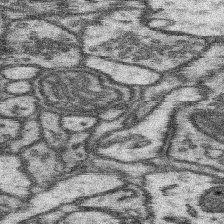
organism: Mouse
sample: Somatosensory cortex neuropil